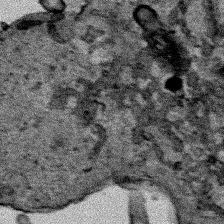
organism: Human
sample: Mitochondria in HCT116 cells